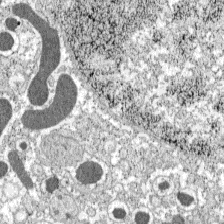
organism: C57BL Mouse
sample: Pancreatic islet